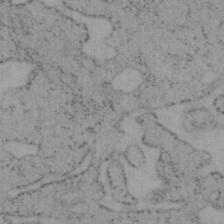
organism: Mouse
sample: OT-I killer T cells with ID8 ovarian cancer cells